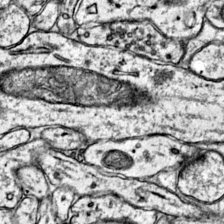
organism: Mouse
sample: Primary visual cortex